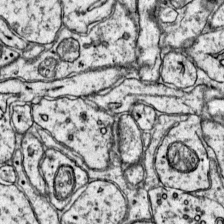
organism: Mouse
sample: Primary visual cortex